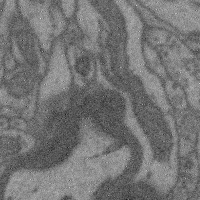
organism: Mouse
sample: Cerebral cortex